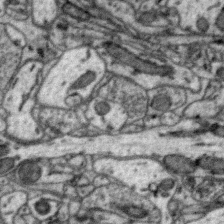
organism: Zebra finch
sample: Brain